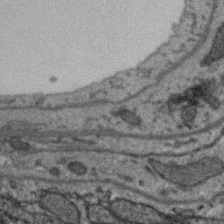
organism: Zebra finch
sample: Brain